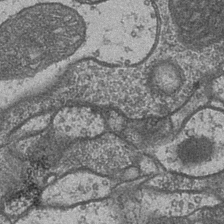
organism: Drosophila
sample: Optic medulla